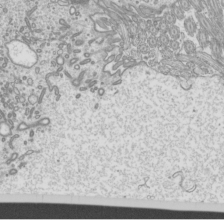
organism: Mouse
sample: Cilia; mouse epididymis